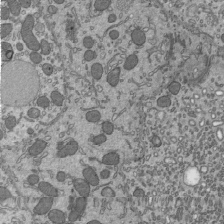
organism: Mouse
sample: Mouse epididymis efferent ductule cilia